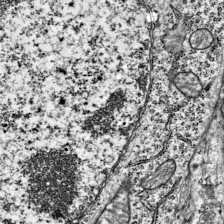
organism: Mouse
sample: Visual Cortex